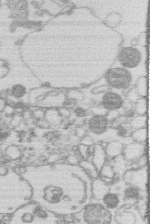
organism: Human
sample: Macrophage cells